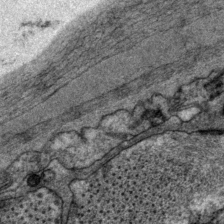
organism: P. pacificus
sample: Pharynx